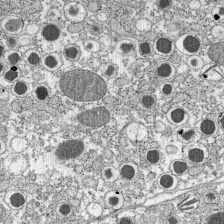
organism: C57BL Mouse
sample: Pancreatic islet